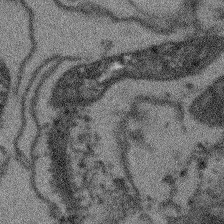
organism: Arabidopsis thaliana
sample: Root tip